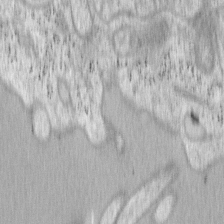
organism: Human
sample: HeLa cells